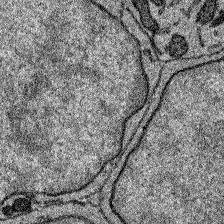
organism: Zebrafish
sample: Larval olfactory bulb